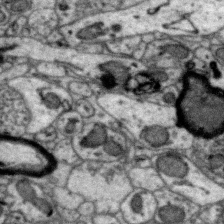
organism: Zebra finch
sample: Brain